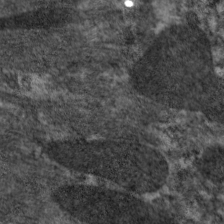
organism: C. elegans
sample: Pharynx